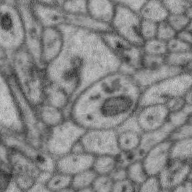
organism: Zebra finch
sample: Brain